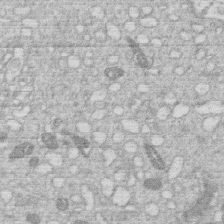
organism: Human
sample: Macrophage cells